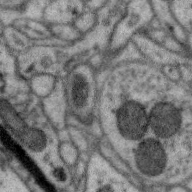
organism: Zebra finch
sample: Brain